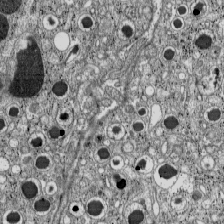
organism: C57BL Mouse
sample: Pancreatic islet